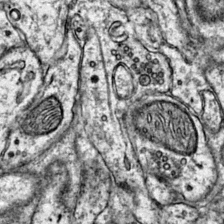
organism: Mouse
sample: Primary visual cortex